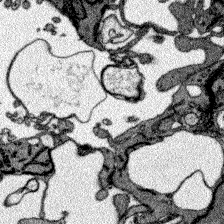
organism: Zebrafish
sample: Larval olfactory bulb